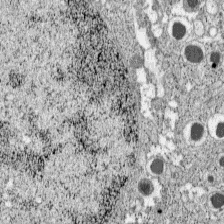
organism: C57BL Mouse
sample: Pancreatic islet